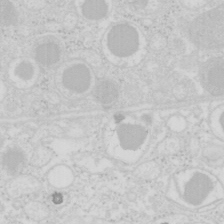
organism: Mouse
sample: Pancreas